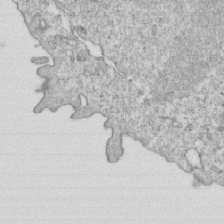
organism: Mouse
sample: Activated OT-1 CD8+ T cells